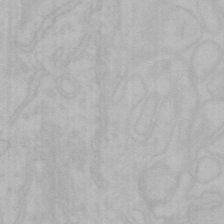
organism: Mouse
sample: Choroid plexus